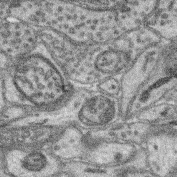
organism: Mouse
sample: Retina